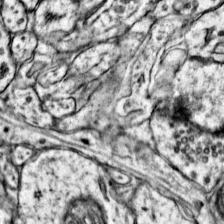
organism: Mouse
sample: Primary visual cortex